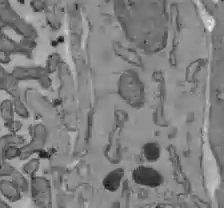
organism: C57BL Mouse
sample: Liver